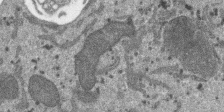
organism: Human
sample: Lung epithelial cells infected with SARS-CoV-2